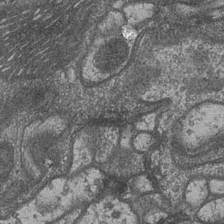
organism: Drosophila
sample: Optic medulla